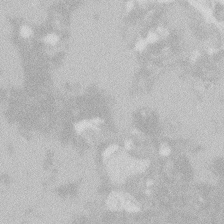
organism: Zebrafish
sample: Macrophage